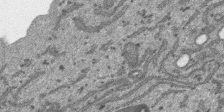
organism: Human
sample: Lung epithelial cells infected with SARS-CoV-2